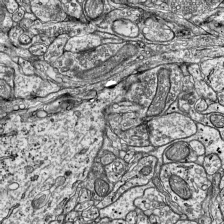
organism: Mouse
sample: Visual Cortex